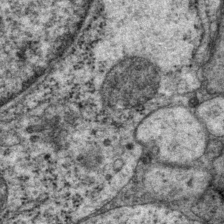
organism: P. pacificus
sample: Pharynx